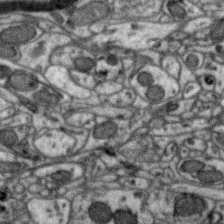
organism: Zebra finch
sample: Brain